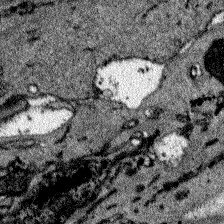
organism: Zebrafish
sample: Larval olfactory bulb